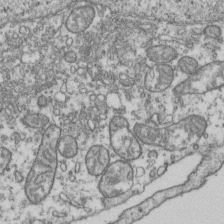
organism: Human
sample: Activated Jurkat CD4+ T cells